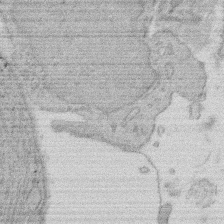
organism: Rat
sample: Salivary granule